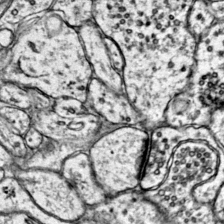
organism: Mouse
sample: Primary visual cortex